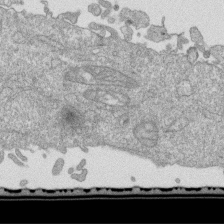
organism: Human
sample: HeLa cell HIV synapse